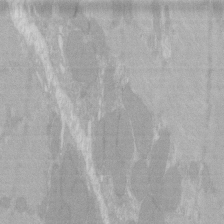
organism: C57BL Mouse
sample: Tibialis anterior muscle cell